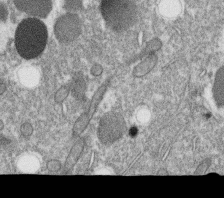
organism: C. elegans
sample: C. elegans oocyte; sperm cells